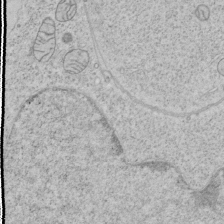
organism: Human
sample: Mitochondria in HCT116 cells